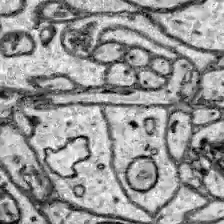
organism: Zebrafish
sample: Brain